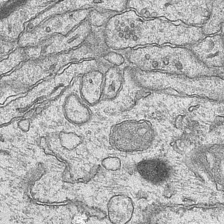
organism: Mouse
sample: CA1 Hippocampus